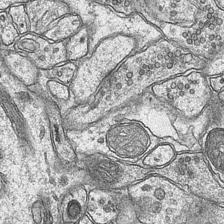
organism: Mouse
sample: CA1 Hippocampus